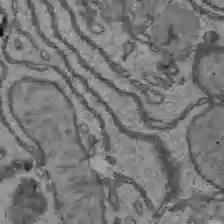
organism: C57BL Mouse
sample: Liver